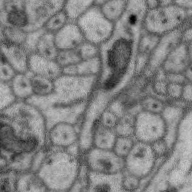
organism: Zebra finch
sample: Brain